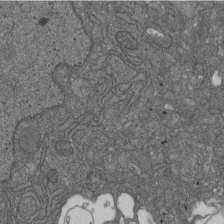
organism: Drosophila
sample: Nephrocyte